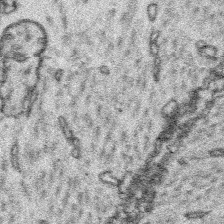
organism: Platynereis dumerilii